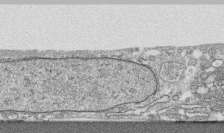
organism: Human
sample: CRL-1474